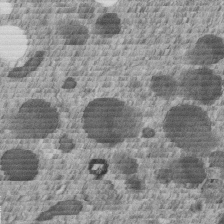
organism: C. elegans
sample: C. elegans embryo early stage